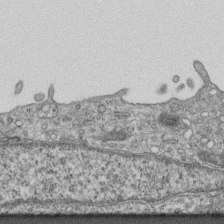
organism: Mouse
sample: Centriole in ependymal cells